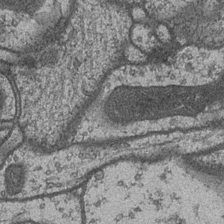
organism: Drosophila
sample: Optic medulla